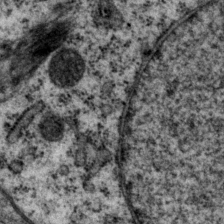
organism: P. pacificus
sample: Pharynx